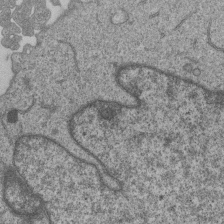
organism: Human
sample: MDA-MB-231 cells